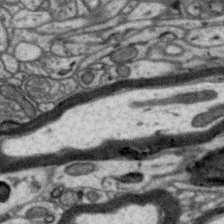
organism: Zebra finch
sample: Brain